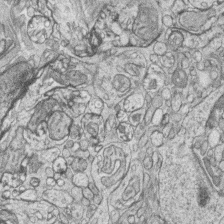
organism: Zebrafish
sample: synaptic ribbons in rod cells and cone cells